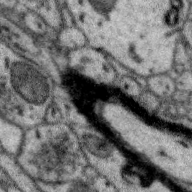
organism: Zebra finch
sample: Brain